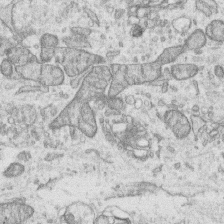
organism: Human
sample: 1205lu cells